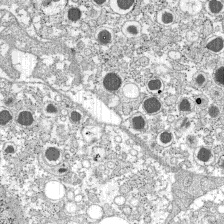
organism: C57BL Mouse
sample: Pancreatic islet